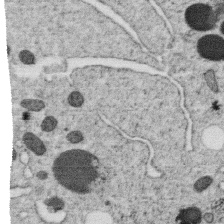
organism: C. elegans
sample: C. elegans oocyte; sperm cells